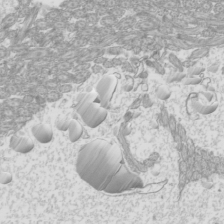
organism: Mouse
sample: Cilia; mouse epididymis